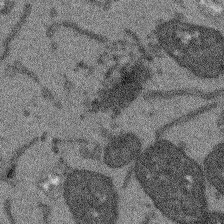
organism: Arabidopsis thaliana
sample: Root tip